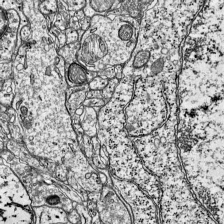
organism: Mouse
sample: Visual Cortex